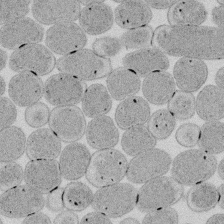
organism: E. coli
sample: Bacterial nucleoid